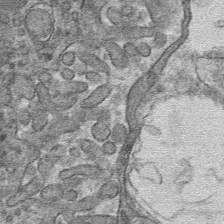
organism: Mouse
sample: Mouse hepatocytes